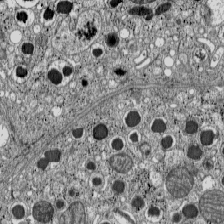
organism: C57BL Mouse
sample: Pancreatic islet